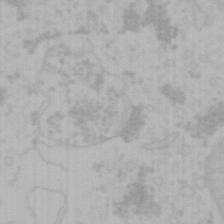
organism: Mouse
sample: Choroid plexus